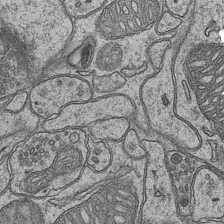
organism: Mouse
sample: CA1 Hippocampus